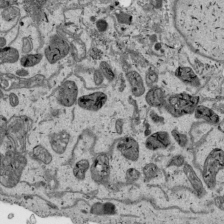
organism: Human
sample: Mitochondria in HCT116 cells